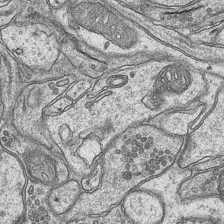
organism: Mouse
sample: CA1 Hippocampus